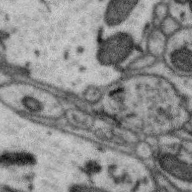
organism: Zebra finch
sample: Brain